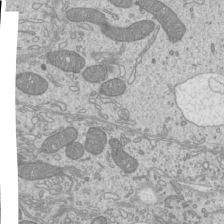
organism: Mouse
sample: Cilia; mouse epididymis